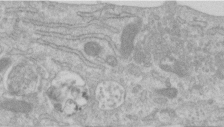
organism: Human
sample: Centriole in RPE cells